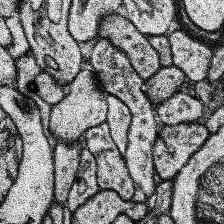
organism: Human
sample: Temporal Lobe